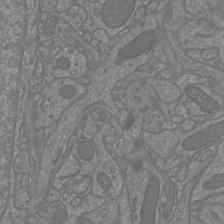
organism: Mouse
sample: Cortical neurons